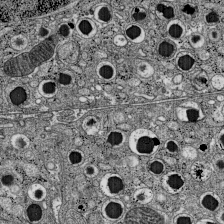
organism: C57BL Mouse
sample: Pancreatic islet